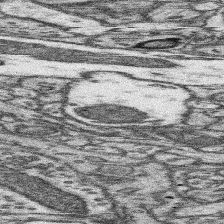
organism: Mouse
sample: Somatosensory cortex neuropil